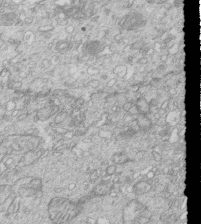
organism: Mouse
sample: Multiciliated cells